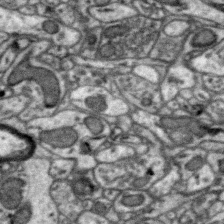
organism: Zebra finch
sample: Brain